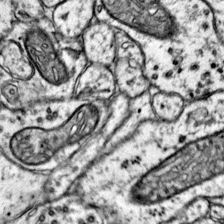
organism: Mouse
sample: Primary visual cortex